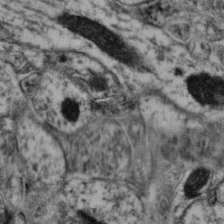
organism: Mouse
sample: Neocortex